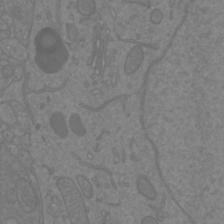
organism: Mouse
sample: Cortical neurons